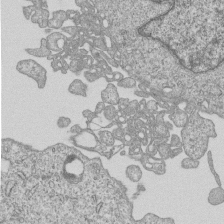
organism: Human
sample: MDA-MB-231 cells